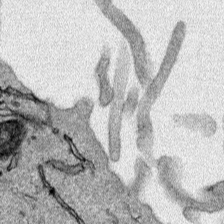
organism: Human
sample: Mitochondria in HCT116 cells